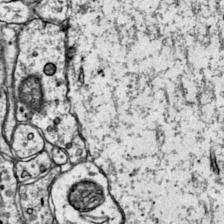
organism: Mouse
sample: Primary visual cortex